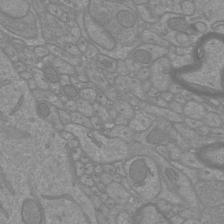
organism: Mouse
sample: Cortical neurons